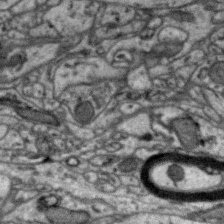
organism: Zebra finch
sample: Brain